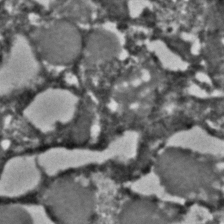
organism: C. elegans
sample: C. elegans embryo